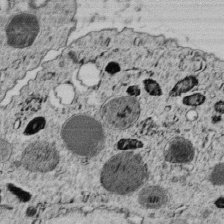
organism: C. elegans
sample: C. elegans embryo early stage